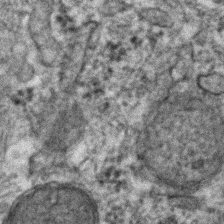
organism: Human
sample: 1205lu cells